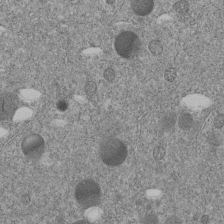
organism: C. elegans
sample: C. elegans embryo early stage